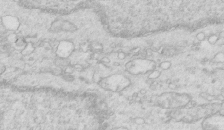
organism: Mouse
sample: Multiciliated cells